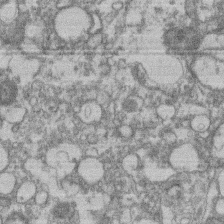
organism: Mouse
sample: T cell stromal cell synapse